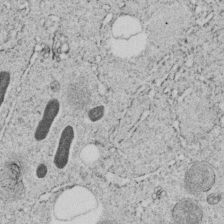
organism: C. elegans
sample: C. elegans embryo early stage